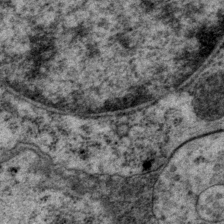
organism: P. pacificus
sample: Pharynx